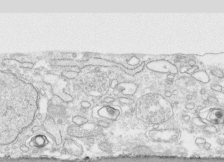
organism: Human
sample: CRL-1474